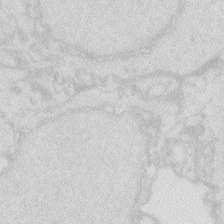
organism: Zebrafish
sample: Macrophage